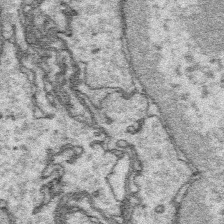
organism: Platynereis dumerilii